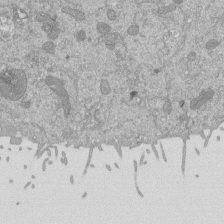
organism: Mouse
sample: ED-1 cell nuclei; centrioles